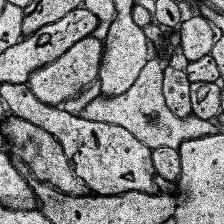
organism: Human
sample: Temporal Lobe